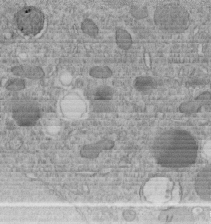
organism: C. elegans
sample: C. elegans embryo early stage